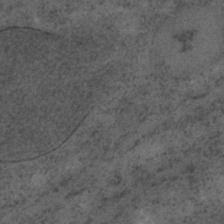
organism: C. elegans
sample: C. elegans embryo